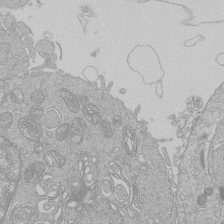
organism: Human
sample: Macrophage cells